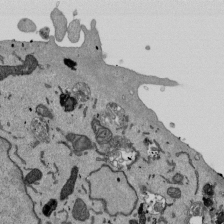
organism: Mouse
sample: ED-1 cell nuclei; centrioles